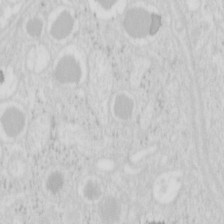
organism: Mouse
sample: Pancreas